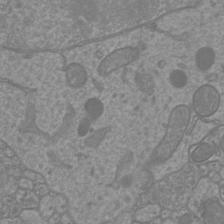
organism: Mouse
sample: Cortical neurons